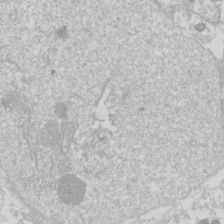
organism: Drosophila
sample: Cell division; meiosis; drosophila spermatocytes